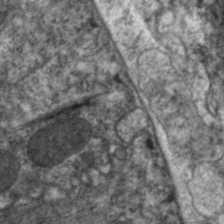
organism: C. elegans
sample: Pharynx